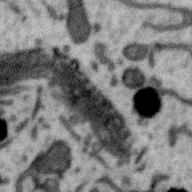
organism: Zebra finch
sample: Brain